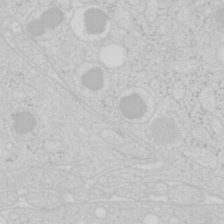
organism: Mouse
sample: Pancreas